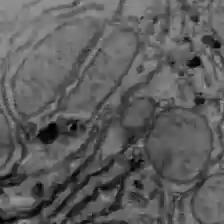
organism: C57BL Mouse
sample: Liver